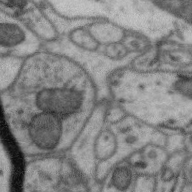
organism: Zebra finch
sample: Brain